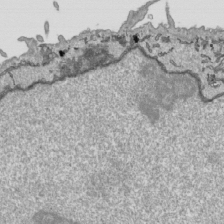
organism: Human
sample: Mitochondria in HCT116 cells